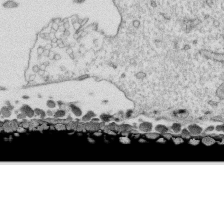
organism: Human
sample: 1205lu cells